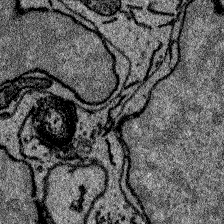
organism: Zebrafish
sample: Larval olfactory bulb